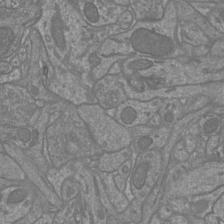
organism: Mouse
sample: Cortical neurons